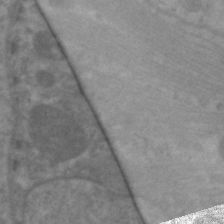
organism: C. elegans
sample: Pharynx